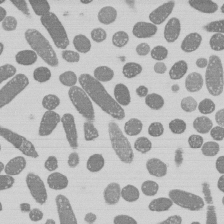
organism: E. coli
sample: Bacterial nucleoid